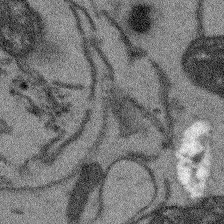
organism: Arabidopsis thaliana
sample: Root tip